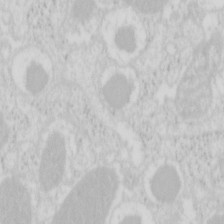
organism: Mouse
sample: Pancreas